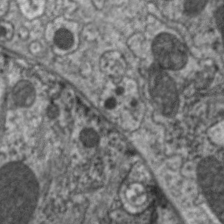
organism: C. elegans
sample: Pharynx